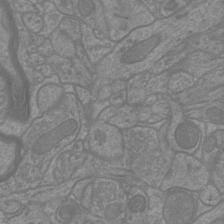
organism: Mouse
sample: Cortical neurons